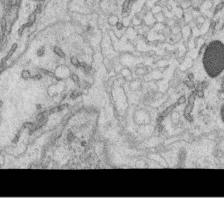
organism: C. elegans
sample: C. elegans oocyte; sperm cells